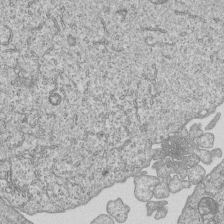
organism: Human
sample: MDA-MB-231 cells